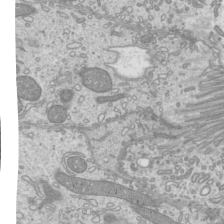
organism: Mouse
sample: Cilia; mouse epididymis